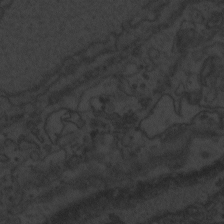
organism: Zebrafish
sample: Macrophage infected with Toxoplasma gondii